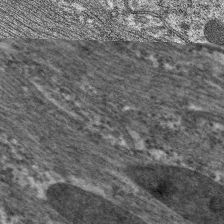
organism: C. elegans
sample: Pharynx